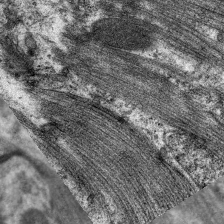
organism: C. elegans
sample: Pharynx